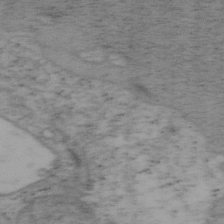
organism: Mouse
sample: OT-I killer T cells with ID8 ovarian cancer cells